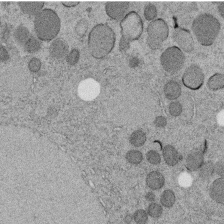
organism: C. elegans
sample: C. elegans embryo early stage